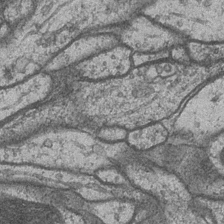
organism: Drosophila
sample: Optic medulla